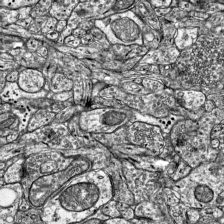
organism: Mouse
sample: Visual Cortex